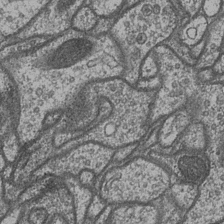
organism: Drosophila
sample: Optic medulla